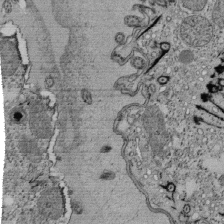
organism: Tetrahymena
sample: Cilia in tetrahymena